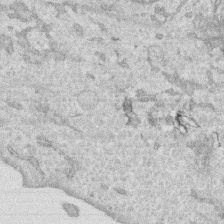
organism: Human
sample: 1205lu cells